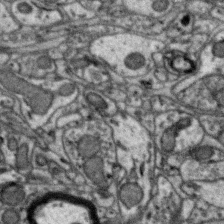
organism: Zebra finch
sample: Brain